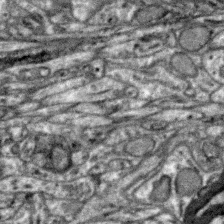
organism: Zebra finch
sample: Brain